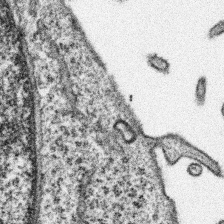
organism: Human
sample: HeLa cells